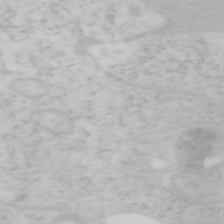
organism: Mouse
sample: OT-I killer T cells with ID8 ovarian cancer cells